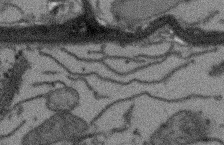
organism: Arabidopsis thaliana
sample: Root tip